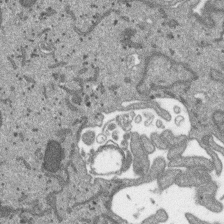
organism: Human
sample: Lung epithelial cells infected with SARS-CoV-2